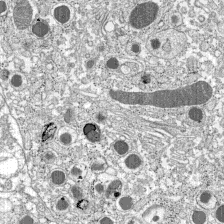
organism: C57BL Mouse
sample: Pancreatic islet